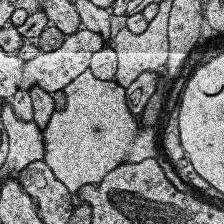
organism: Human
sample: Temporal Lobe